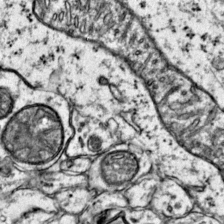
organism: Mouse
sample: Primary visual cortex